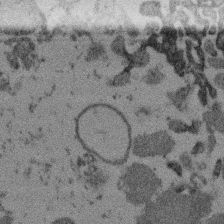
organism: Mouse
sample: Dividing mouse embryo 1 cell stage